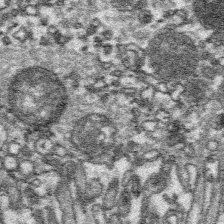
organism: Platynereis dumerilii